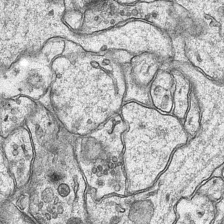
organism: Mouse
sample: CA1 Hippocampus